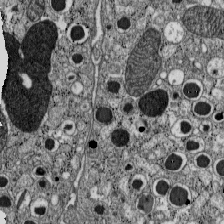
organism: C57BL Mouse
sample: Pancreatic islet